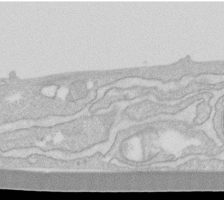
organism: Human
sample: Fibroblast cells